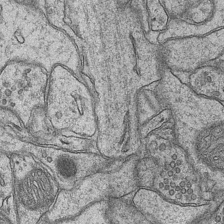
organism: Mouse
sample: CA1 Hippocampus